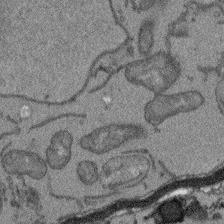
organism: Arabidopsis thaliana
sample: Root tip